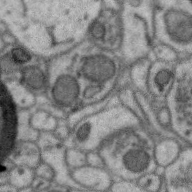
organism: Zebra finch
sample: Brain